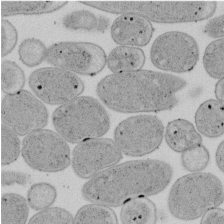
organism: E. coli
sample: Bacterial nucleoid